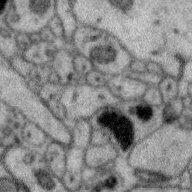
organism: Zebra finch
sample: Brain